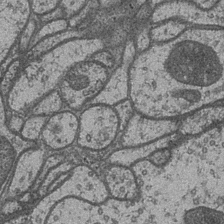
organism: Drosophila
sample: Optic medulla